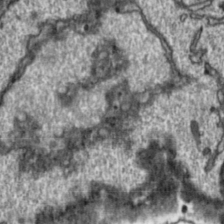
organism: Toxoplasma gondii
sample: Parasites in a vacuole inside a host cell